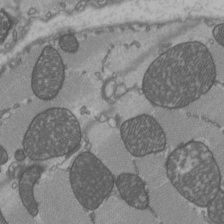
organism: C57BL Mouse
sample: Heart